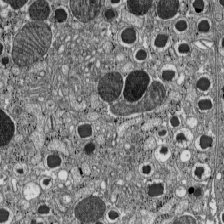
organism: C57BL Mouse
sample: Pancreatic islet